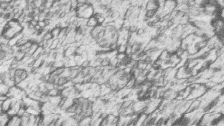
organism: Zebrafish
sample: synaptic ribbons in rod cells and cone cells